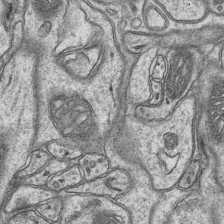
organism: Mouse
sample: CA1 Hippocampus